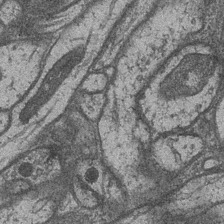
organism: Drosophila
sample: Optic medulla